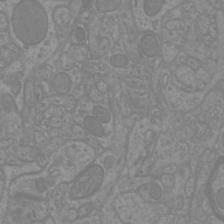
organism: Mouse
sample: Cortical neurons